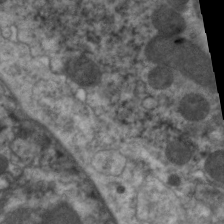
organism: C. elegans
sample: Pharynx